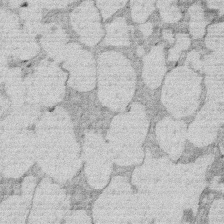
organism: Rat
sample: Salivary granule